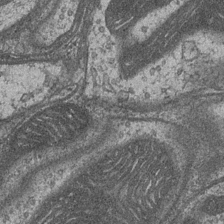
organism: Drosophila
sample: Optic medulla